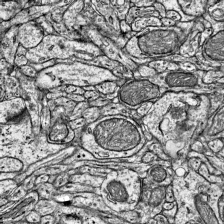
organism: Mouse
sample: Visual Cortex